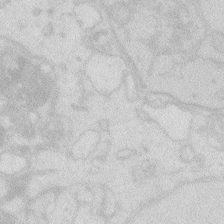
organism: Zebrafish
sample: Macrophage